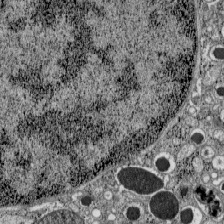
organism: C57BL Mouse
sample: Pancreatic islet